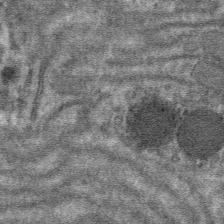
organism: Mouse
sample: Mouse hepatocytes